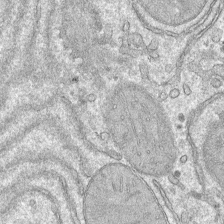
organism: Mouse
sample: Mouse hepatocytes